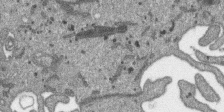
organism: Human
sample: Lung epithelial cells infected with SARS-CoV-2